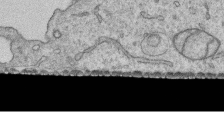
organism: Human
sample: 1205lu cells